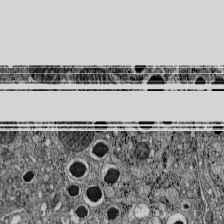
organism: C57BL Mouse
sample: Pancreatic islet